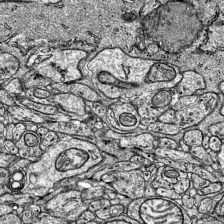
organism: Mouse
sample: Visual Cortex